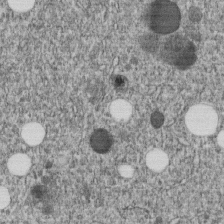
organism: C. elegans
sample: C. elegans embryo early stage